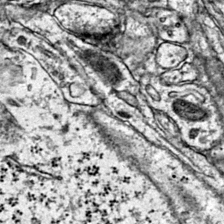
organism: Mouse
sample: Primary visual cortex